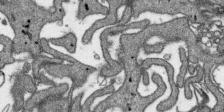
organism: Human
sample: Lung epithelial cells, uninfected (mock) control